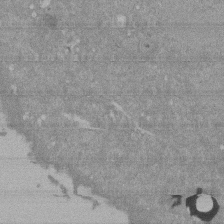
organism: Mouse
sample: ED-1 cell nuclei; centrioles